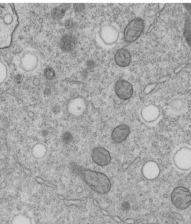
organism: C. elegans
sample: C. elegans embryo early stage